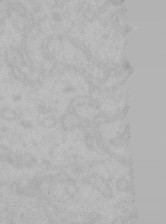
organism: Mouse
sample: Choroid plexus